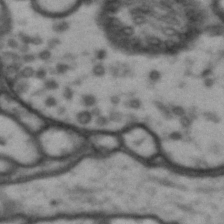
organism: Drosophila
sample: Brain